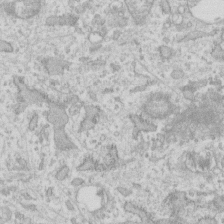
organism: Human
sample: Fibroblast cells